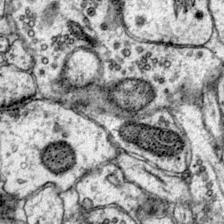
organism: Mouse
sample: Primary visual cortex